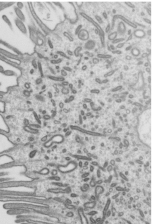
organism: Mouse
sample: Mouse epididymis efferent ductule cilia